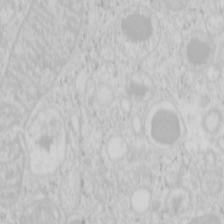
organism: Mouse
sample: Pancreas